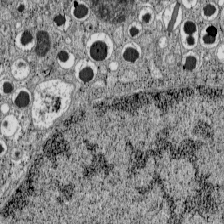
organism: C57BL Mouse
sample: Pancreatic islet